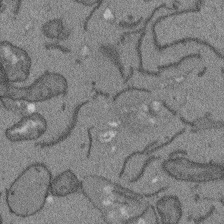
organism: Arabidopsis thaliana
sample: Root tip